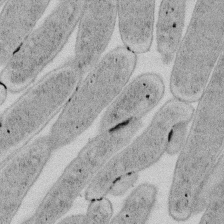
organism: E. coli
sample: Bacterial nucleoid